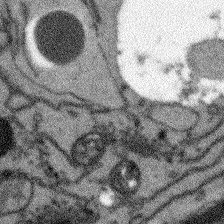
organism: Arabidopsis thaliana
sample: Root tip